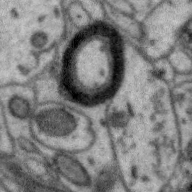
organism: Zebra finch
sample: Brain